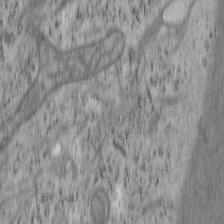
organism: Human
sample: HeLa cells